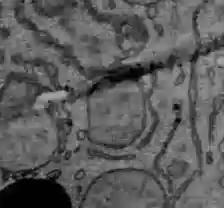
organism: C57BL Mouse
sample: Liver